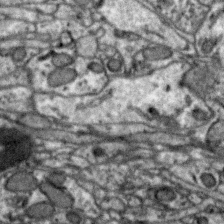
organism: Zebra finch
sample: Brain